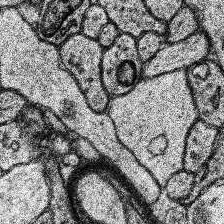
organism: Human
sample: Temporal Lobe